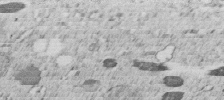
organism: C. elegans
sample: C. elegans embryo early stage